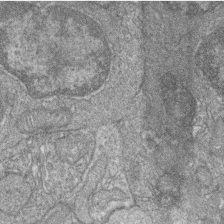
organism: Zebrafish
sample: Cilia; retinal pigment epithelium